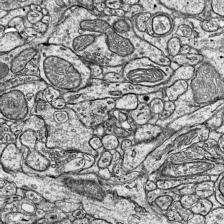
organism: Mouse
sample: Visual Cortex